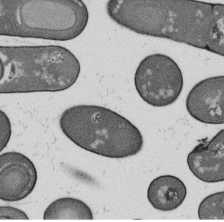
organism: B. subtilis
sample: Bacterial spore